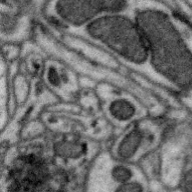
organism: Zebra finch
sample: Brain